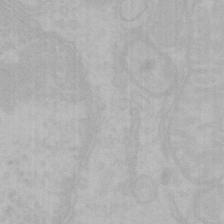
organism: Mouse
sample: Choroid plexus